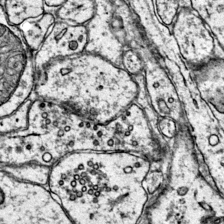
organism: Mouse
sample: Primary visual cortex